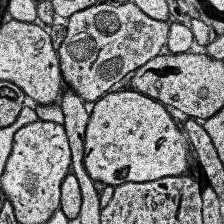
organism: Human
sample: Temporal Lobe